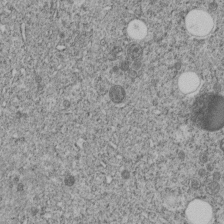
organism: C. elegans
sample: C. elegans embryo early stage